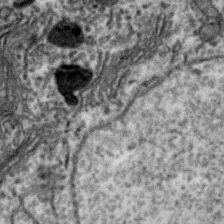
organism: Zebra finch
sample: Brain